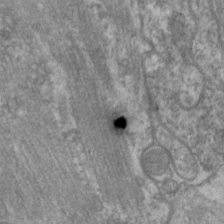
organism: C. elegans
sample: Pharynx